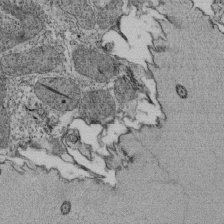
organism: Tetrahymena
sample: Cilia in tetrahymena